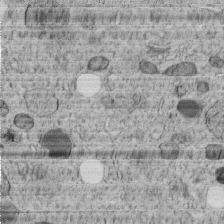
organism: C. elegans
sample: C. elegans embryo early stage